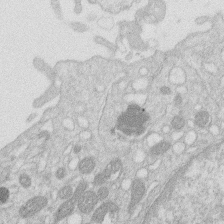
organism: Human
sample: Macrophage cells